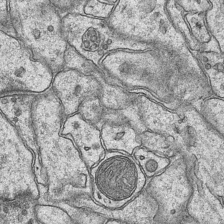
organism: Mouse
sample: CA1 Hippocampus